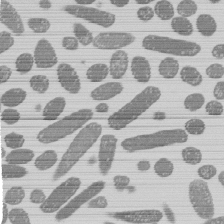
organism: E. coli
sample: Bacterial nucleoid